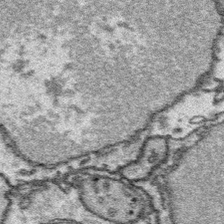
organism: Platynereis dumerilii